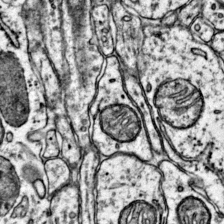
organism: Mouse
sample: Primary visual cortex